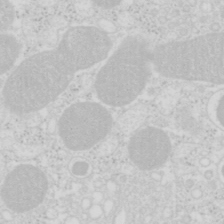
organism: Mouse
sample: Pancreas